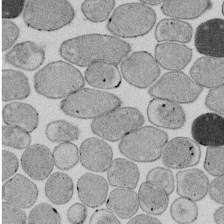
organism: E. coli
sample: Bacterial nucleoid